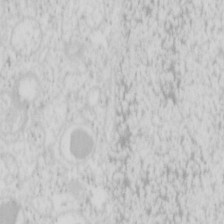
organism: Mouse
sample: Pancreas